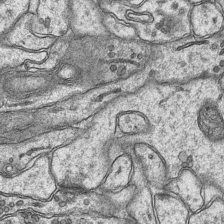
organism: Mouse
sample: CA1 Hippocampus